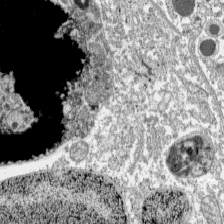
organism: C57BL Mouse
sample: Pancreatic islet